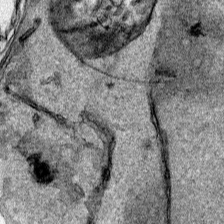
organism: Human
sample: Mitochondria in HCT116 cells